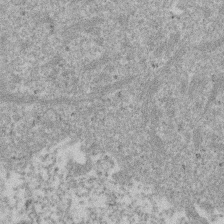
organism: Mouse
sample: Dividing mouse embryo 1 cell stage